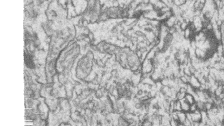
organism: Zebrafish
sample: synaptic ribbons in rod cells and cone cells